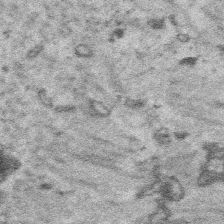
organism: Platynereis dumerilii